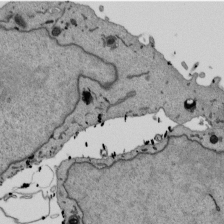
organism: Mouse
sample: ED-1 cell nuclei; centrioles